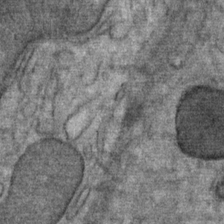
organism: Mouse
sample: Mouse Salivary gland